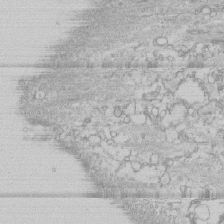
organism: Human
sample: CRL-1474